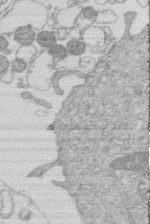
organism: Human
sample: Macrophage cells